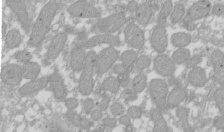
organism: Xenopus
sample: Cilia; centrioles in frog embryo cells